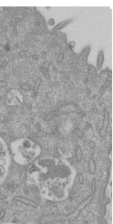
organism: Mouse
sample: ED-1 cell nuclei; centrioles